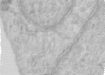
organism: Human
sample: Centriole in RPE cells